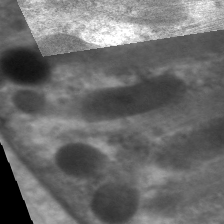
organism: C. elegans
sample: Pharynx